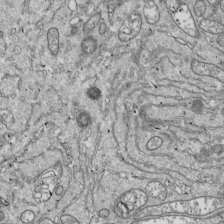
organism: Drosophila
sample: Cell division; meiosis; drosophila spermatocytes